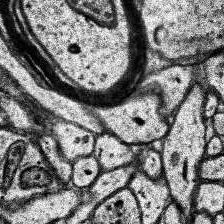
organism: Human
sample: Temporal Lobe